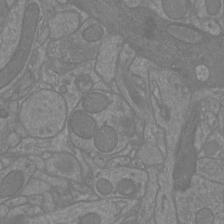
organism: Mouse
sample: Cortical neurons